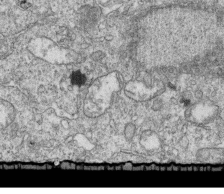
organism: Human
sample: HeLa cell HIV synapse